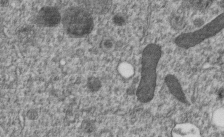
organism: C. elegans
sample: C. elegans embryo early stage